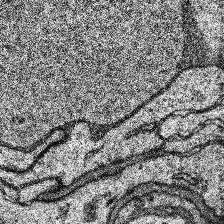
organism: Human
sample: Temporal Lobe